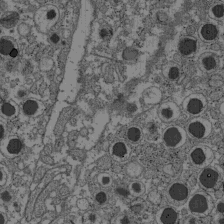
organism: C57BL Mouse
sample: Pancreatic islet